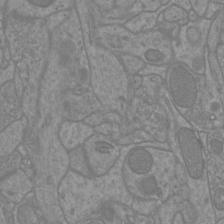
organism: Mouse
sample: Cortical neurons